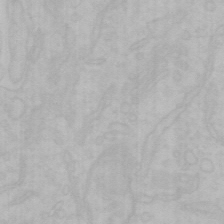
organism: Mouse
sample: Choroid plexus